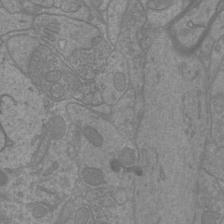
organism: Mouse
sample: Cortical neurons